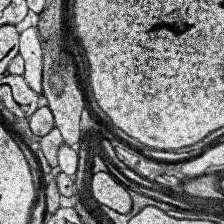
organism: Human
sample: Temporal Lobe